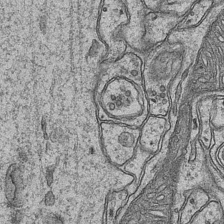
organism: Mouse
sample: CA1 Hippocampus